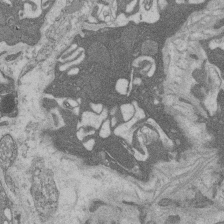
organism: Rat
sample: Salivary granule